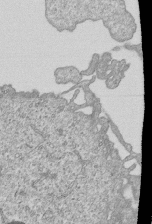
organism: Human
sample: MDA-MB-231 cells